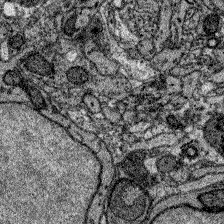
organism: Zebrafish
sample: Larval olfactory bulb